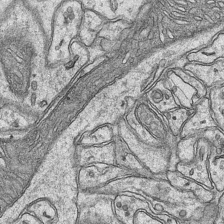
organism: Mouse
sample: CA1 Hippocampus